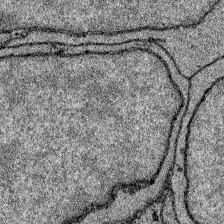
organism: Zebrafish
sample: Larval olfactory bulb